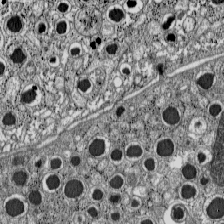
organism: C57BL Mouse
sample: Pancreatic islet